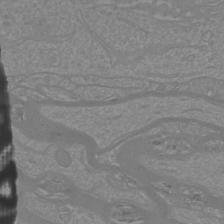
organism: Mouse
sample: Cortical neurons